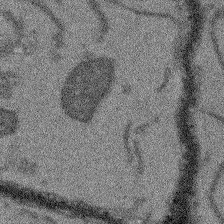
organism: Arabidopsis thaliana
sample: Root tip